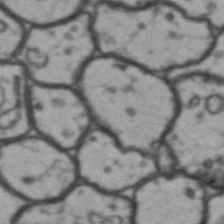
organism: Drosophila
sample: Brain